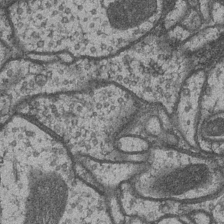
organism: Drosophila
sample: Optic medulla